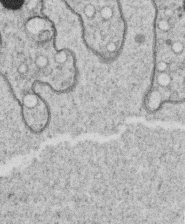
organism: C. elegans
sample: C. elegans oocyte; sperm cells